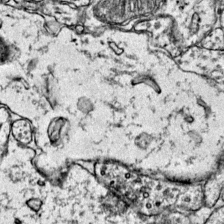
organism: Mouse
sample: Primary visual cortex